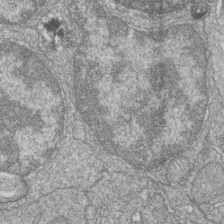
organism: Zebrafish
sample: Cilia; retinal pigment epithelium